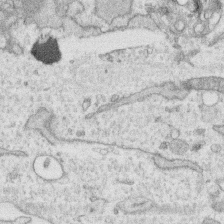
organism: Human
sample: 1205lu cells